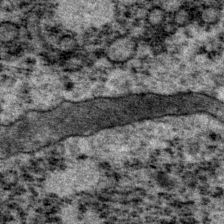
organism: P. pacificus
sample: Pharynx